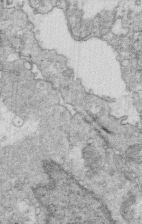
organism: Mouse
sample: Multiciliated cells